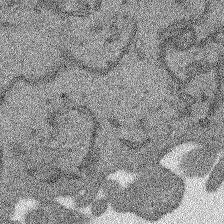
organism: Human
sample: HeLa cells